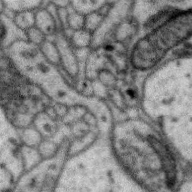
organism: Zebra finch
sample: Brain